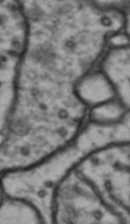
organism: Drosophila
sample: Brain